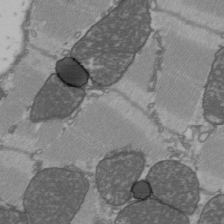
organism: C57BL Mouse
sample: Heart